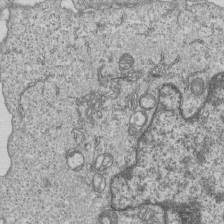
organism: Human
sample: MDA-MB-231 cells